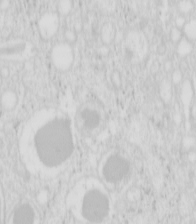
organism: Mouse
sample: Pancreas